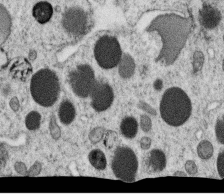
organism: C. elegans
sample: C. elegans oocyte; sperm cells